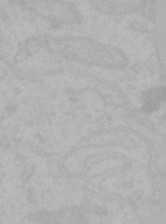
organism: Mouse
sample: Choroid plexus